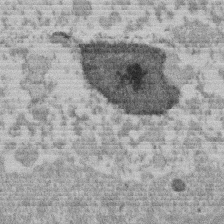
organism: Mouse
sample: Dividing mouse embryo 1 cell stage